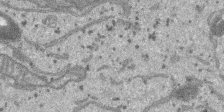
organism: Human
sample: Lung epithelial cells infected with SARS-CoV-2